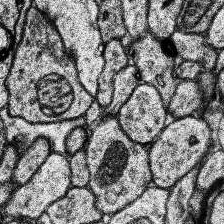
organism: Human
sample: Temporal Lobe